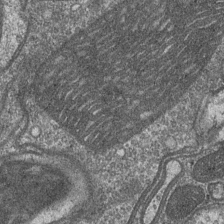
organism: Drosophila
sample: Optic medulla